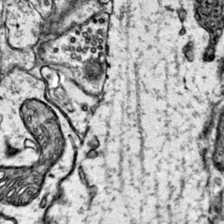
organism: Mouse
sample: Primary visual cortex